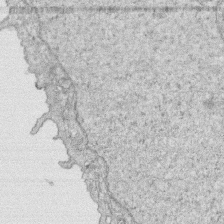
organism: Human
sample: HeLa cell HIV synapse